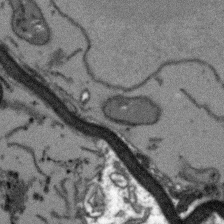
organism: Arabidopsis thaliana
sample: Root tip